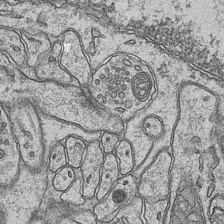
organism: Mouse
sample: CA1 Hippocampus